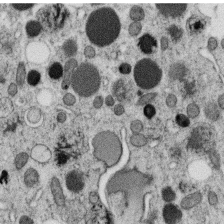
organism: C. elegans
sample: C. elegans oocyte; sperm cells